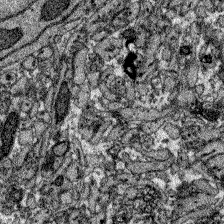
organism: Zebrafish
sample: Larval olfactory bulb